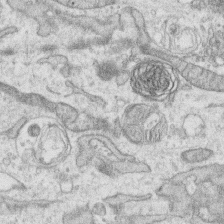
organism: Human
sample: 1205lu cells